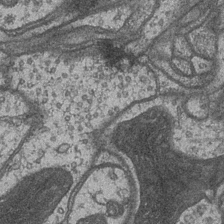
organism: Drosophila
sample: Optic medulla